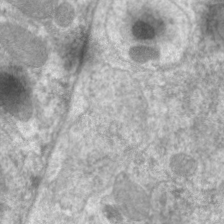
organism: C. elegans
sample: Pharynx